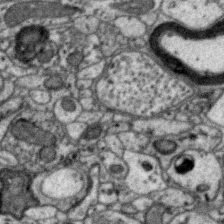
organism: Zebra finch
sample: Brain